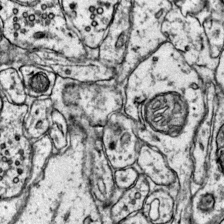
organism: Mouse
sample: Primary visual cortex